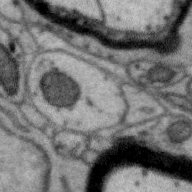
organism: Zebra finch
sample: Brain